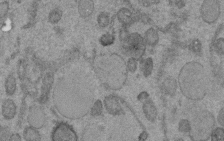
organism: C. elegans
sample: C. elegans embryo early stage